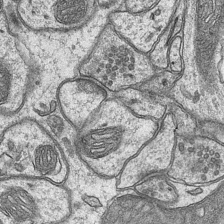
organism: Mouse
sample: CA1 Hippocampus